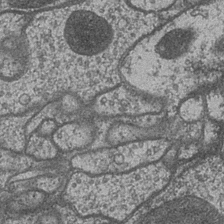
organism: Drosophila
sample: Optic medulla